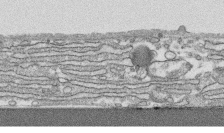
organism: Human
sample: CRL-1474